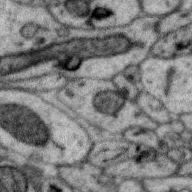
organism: Zebra finch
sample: Brain